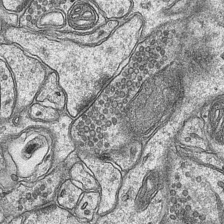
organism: Mouse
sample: CA1 Hippocampus